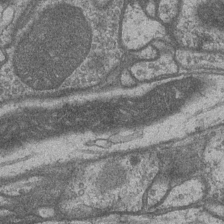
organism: Drosophila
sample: Optic medulla